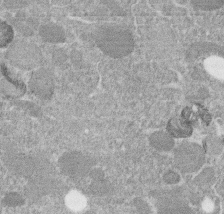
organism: C. elegans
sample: C. elegans embryo early stage